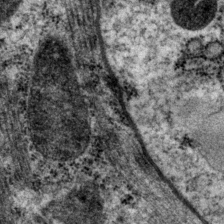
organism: P. pacificus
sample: Pharynx